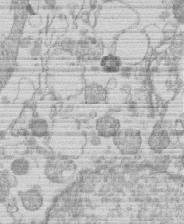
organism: Human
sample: Macrophage cells